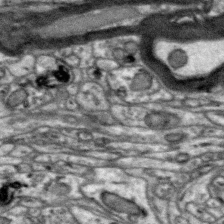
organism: Zebra finch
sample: Brain